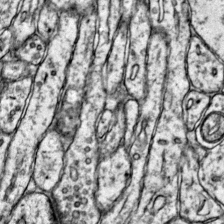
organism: Mouse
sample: Primary visual cortex